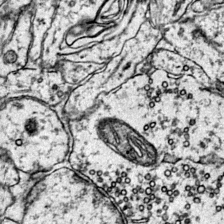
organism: Mouse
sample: Primary visual cortex